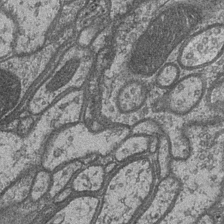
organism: Drosophila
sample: Optic medulla